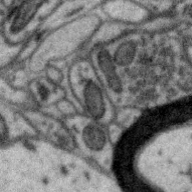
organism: Zebra finch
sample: Brain